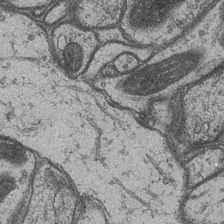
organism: Drosophila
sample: Optic medulla